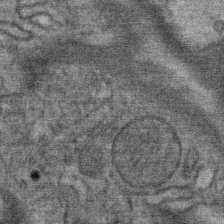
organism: Mouse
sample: Mouse Salivary gland